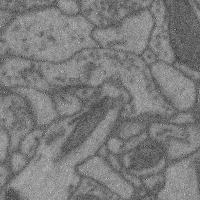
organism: Mouse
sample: Cerebral cortex